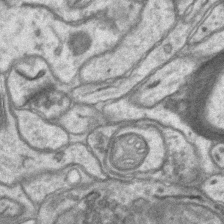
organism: Mouse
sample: CA1 Hippocampus